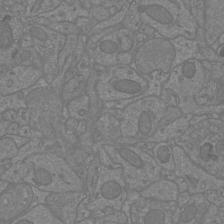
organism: Mouse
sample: Cortical neurons